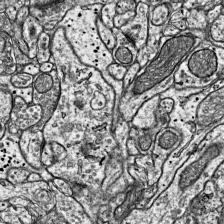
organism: Mouse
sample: Visual Cortex